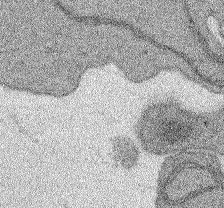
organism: Human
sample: HeLa cells